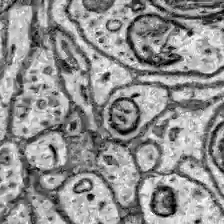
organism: Zebrafish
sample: Brain